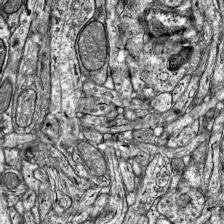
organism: Mouse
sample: Visual Cortex